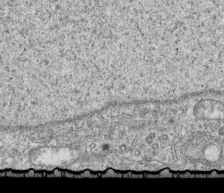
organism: Human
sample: HeLa cell HIV synapse